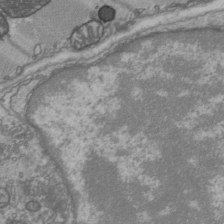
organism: C57BL Mouse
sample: Heart